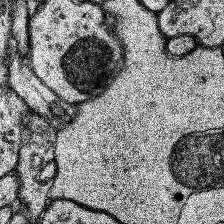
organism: Human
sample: Temporal Lobe